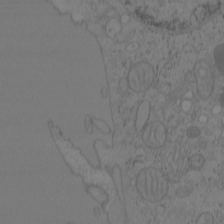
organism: Human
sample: HeLa cells